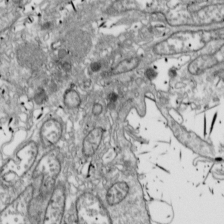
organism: Drosophila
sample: Cell division; meiosis; drosophila spermatocytes